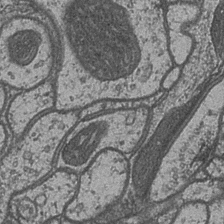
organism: Drosophila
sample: Optic medulla